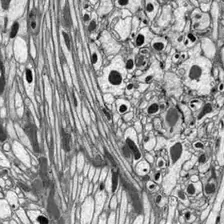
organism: Drosophila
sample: Optic lobe